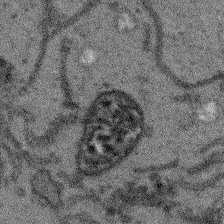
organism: Arabidopsis thaliana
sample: Root tip